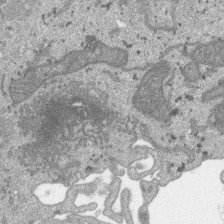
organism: Human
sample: Lung epithelial cells infected with SARS-CoV-2